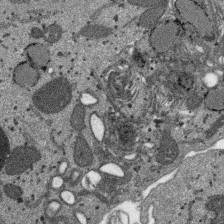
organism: Human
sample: Lung epithelial cells infected with SARS-CoV-2